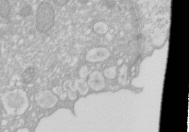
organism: Xenopus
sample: Cilia; centrioles in frog embryo cells